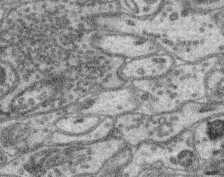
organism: Mouse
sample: Retina